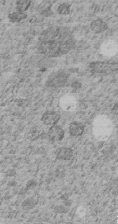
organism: C. elegans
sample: C. elegans embryo early stage